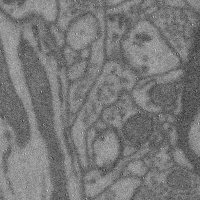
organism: Mouse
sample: Cerebral cortex